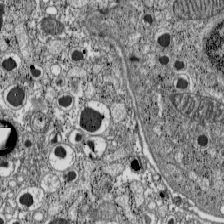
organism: C57BL Mouse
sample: Pancreatic islet